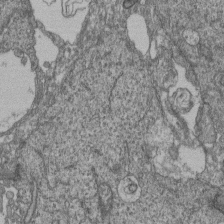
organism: Human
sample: Retinal organoid Rod and Cone cells